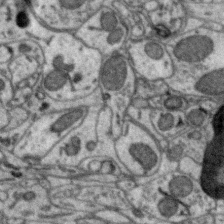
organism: Zebra finch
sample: Brain